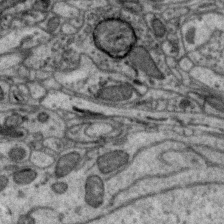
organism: Zebra finch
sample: Brain